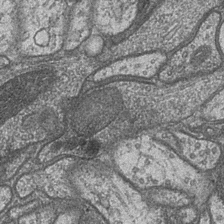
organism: Drosophila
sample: Optic medulla